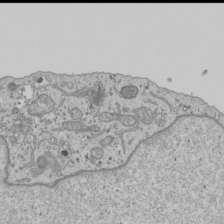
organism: Human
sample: Mitochondria in U2OS cells